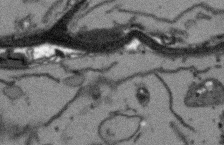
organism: Arabidopsis thaliana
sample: Root tip